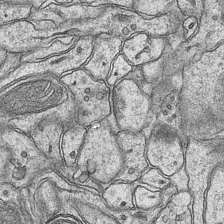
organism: Mouse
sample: CA1 Hippocampus